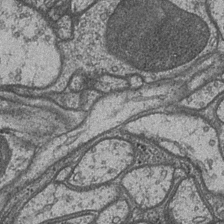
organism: Drosophila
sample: Optic medulla